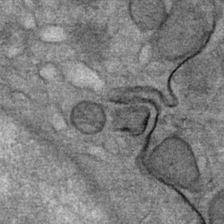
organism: Mouse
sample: Mouse Salivary gland